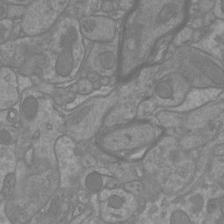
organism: Mouse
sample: Cortical neurons